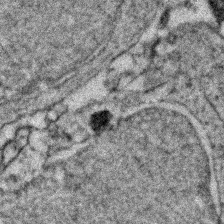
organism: Zebrafish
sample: Zebrafish embryo